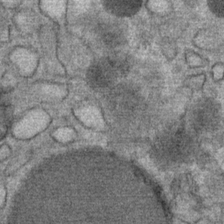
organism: Mouse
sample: Mouse Salivary gland